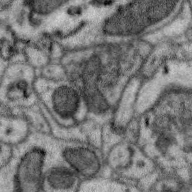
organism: Zebra finch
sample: Brain